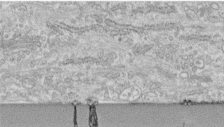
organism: Human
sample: Centriole in fibroblast cells